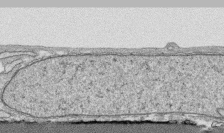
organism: Human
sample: CRL-1474